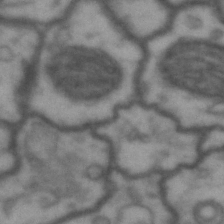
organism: Drosophila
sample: Brain